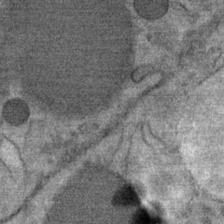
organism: Mouse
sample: Mouse Salivary gland